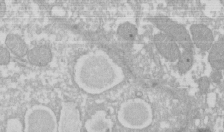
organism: Xenopus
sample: Cilia; centrioles in frog embryo cells